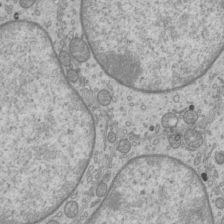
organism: Mouse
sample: Cilia; mouse epididymis